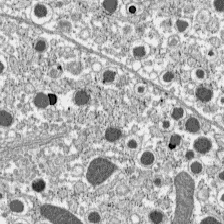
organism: C57BL Mouse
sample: Pancreatic islet